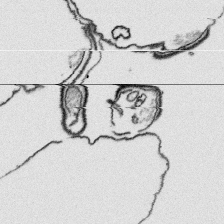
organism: Platynereis dumerilii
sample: Parapodia